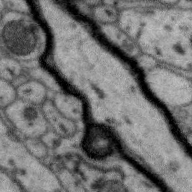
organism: Zebra finch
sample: Brain